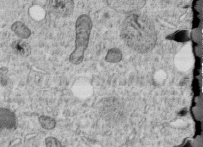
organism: C. elegans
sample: C. elegans embryo early stage